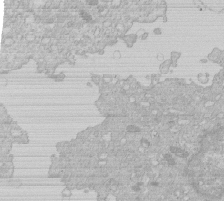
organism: Human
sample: Macrophage cells